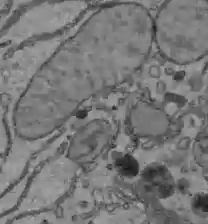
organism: C57BL Mouse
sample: Liver